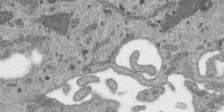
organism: Human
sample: Lung epithelial cells infected with SARS-CoV-2